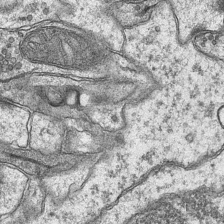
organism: Mouse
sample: CA1 Hippocampus